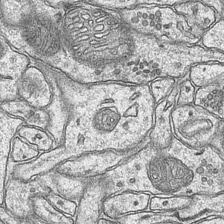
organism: Mouse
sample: CA1 Hippocampus